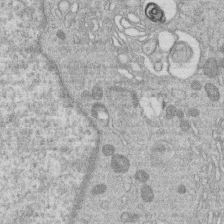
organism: Human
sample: Macrophage cells